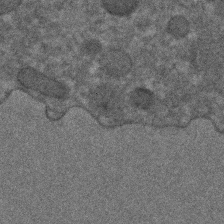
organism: C. elegans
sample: C. elegans embryo